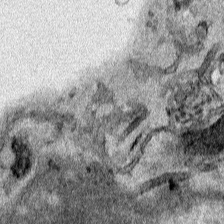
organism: Human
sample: Mitochondria in HCT116 cells